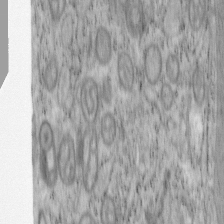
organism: Human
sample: HeLa cells